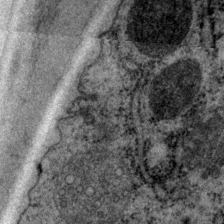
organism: P. pacificus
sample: Pharynx